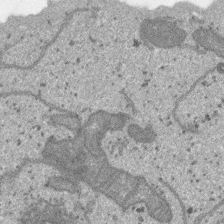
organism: Human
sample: Lung epithelial cells infected with SARS-CoV-2